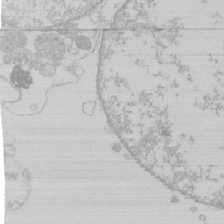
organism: Human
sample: Macrophage cells